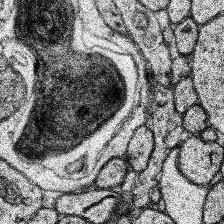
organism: Human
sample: Temporal Lobe